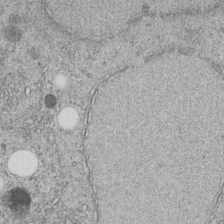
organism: C. elegans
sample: C. elegans embryo early stage